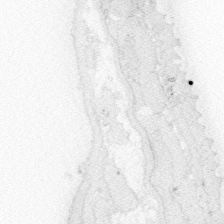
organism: Zebrafish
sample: Whole-Brain